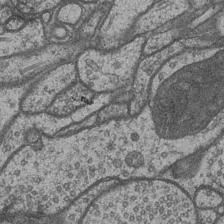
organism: Drosophila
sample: Optic medulla